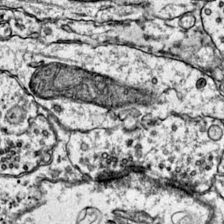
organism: Mouse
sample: Primary visual cortex